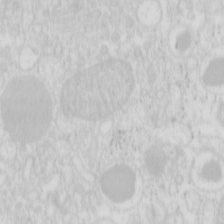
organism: Mouse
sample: Pancreas